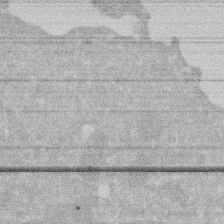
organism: Human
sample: HIV infected U937 cells